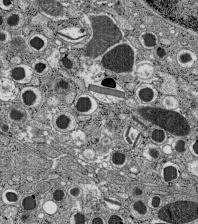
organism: C57BL Mouse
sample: Pancreatic islet